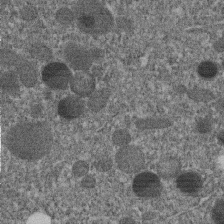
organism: C. elegans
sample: C. elegans embryo early stage